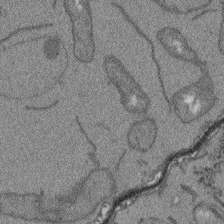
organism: Arabidopsis thaliana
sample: Root tip